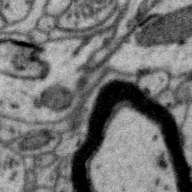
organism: Zebra finch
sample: Brain